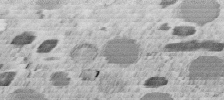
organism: C. elegans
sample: C. elegans embryo early stage